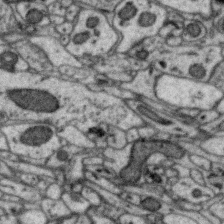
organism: Zebra finch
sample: Brain